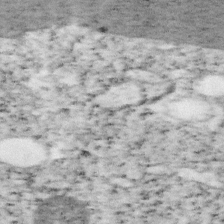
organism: Mouse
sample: OT-I killer T cells with ID8 ovarian cancer cells